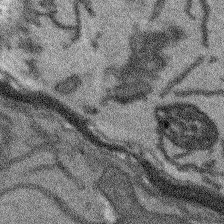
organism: Arabidopsis thaliana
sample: Root tip